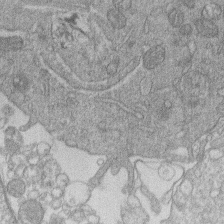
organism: Human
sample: Macrophage cells